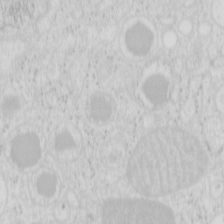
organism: Mouse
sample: Pancreas